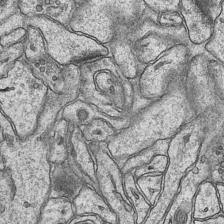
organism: Mouse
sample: CA1 Hippocampus